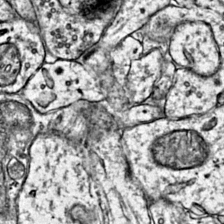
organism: Mouse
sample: Primary visual cortex